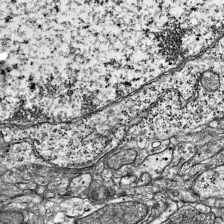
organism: Mouse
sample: Visual Cortex